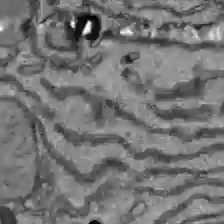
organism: C57BL Mouse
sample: Liver